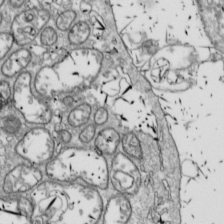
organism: Drosophila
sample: Cell division; meiosis; drosophila spermatocytes